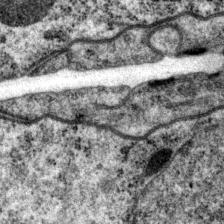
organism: P. pacificus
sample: Pharynx